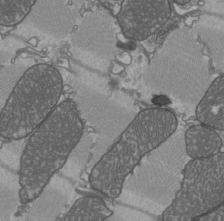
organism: C57BL Mouse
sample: Heart